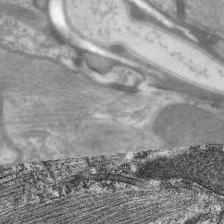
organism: C. elegans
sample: Pharynx